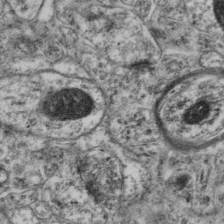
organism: Mouse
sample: Neocortex